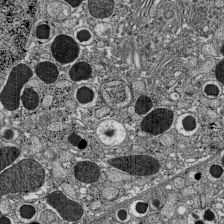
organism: C57BL Mouse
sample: Pancreatic islet